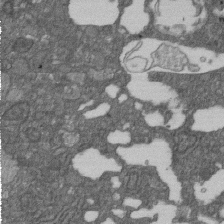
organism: Drosophila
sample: Nephrocyte